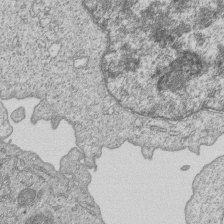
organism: Human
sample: MDA-MB-231 cells